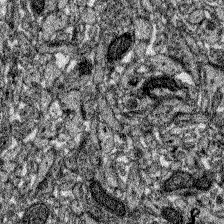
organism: Zebrafish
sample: Larval olfactory bulb